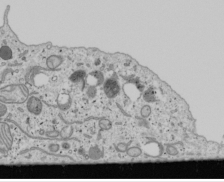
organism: Human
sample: Mitochondria in U2OS cells